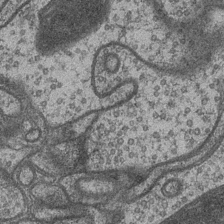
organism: Drosophila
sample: Optic medulla